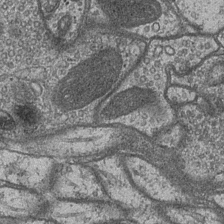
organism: Drosophila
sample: Optic medulla